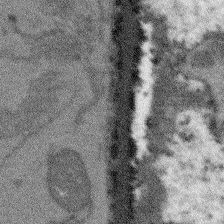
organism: Arabidopsis thaliana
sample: Root tip